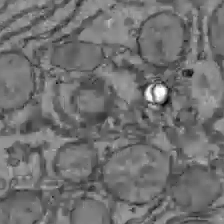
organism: C57BL Mouse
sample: Liver